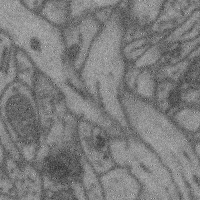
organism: Mouse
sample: Cerebral cortex